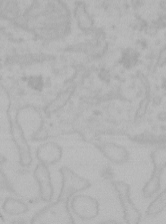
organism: Mouse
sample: Choroid plexus